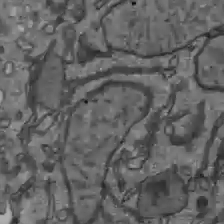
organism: C57BL Mouse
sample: Liver